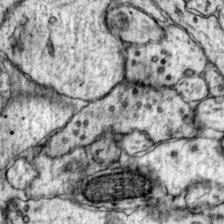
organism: Mouse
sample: Primary visual cortex